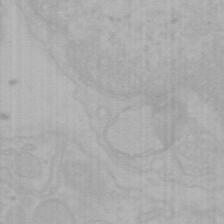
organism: Mouse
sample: Choroid plexus